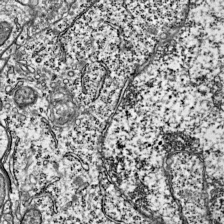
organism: Mouse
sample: Visual Cortex